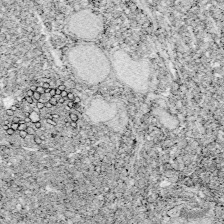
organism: Zebrafish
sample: Whole-Brain